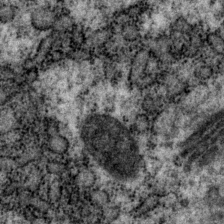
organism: P. pacificus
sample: Pharynx